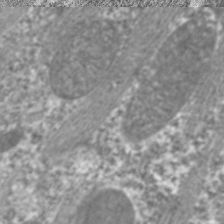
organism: C. elegans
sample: Pharynx